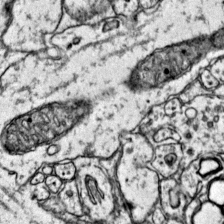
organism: Mouse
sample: Primary visual cortex